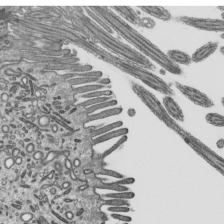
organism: Mouse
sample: Mouse epididymis efferent ductule cilia